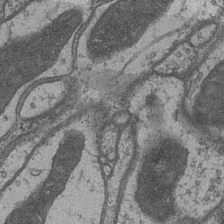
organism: Drosophila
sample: Optic medulla